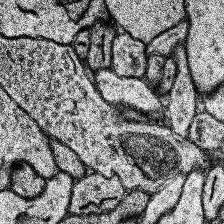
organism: Human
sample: Temporal Lobe